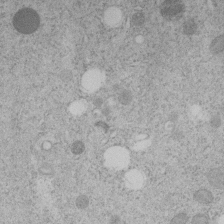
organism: C. elegans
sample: C. elegans embryo early stage